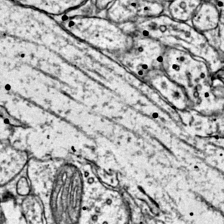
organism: Mouse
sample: Primary visual cortex